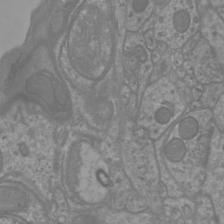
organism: Mouse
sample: Cortical neurons